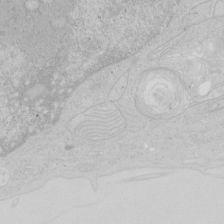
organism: Human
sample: Mitochondria in HCT116 cells